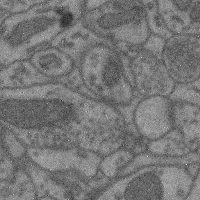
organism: Mouse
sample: Cerebral cortex